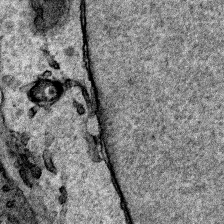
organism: Human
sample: Mitochondria in HCT116 cells